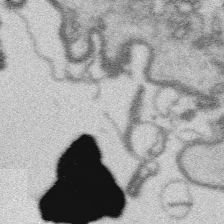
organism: Platynereis dumerilii